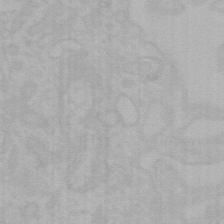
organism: Mouse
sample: Choroid plexus